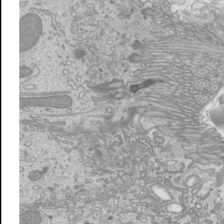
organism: Mouse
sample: Cilia; mouse epididymis